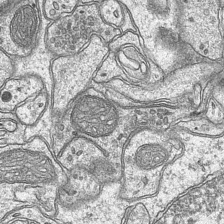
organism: Mouse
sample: CA1 Hippocampus